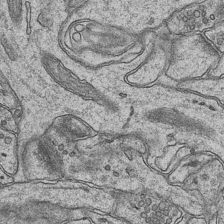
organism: Mouse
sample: CA1 Hippocampus